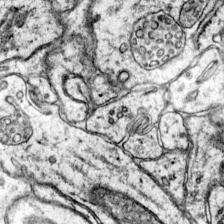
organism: Mouse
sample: Primary visual cortex